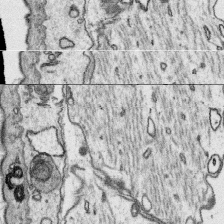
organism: Platynereis dumerilii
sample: Parapodia